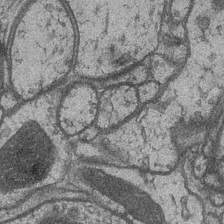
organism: Drosophila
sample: Optic medulla